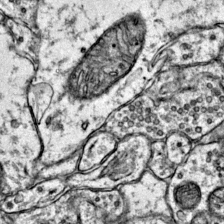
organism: Mouse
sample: Primary visual cortex